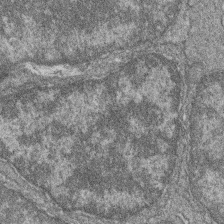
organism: Zebrafish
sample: Cilia; retinal pigment epithelium